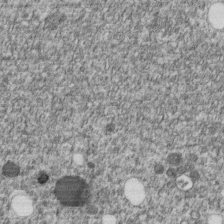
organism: C. elegans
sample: C. elegans embryo early stage